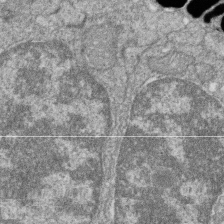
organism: Zebrafish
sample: Cilia; retinal pigment epithelium